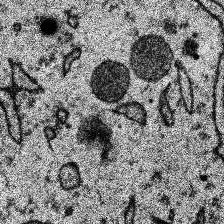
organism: Human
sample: Temporal Lobe